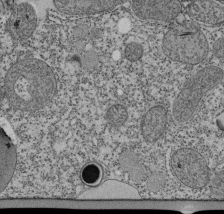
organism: Tetrahymena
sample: Cilia in tetrahymena